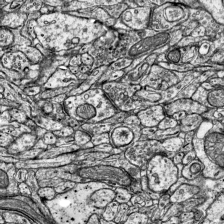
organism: Mouse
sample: Visual Cortex